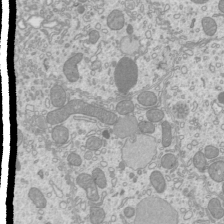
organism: Mouse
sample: Cilia; mouse epididymis